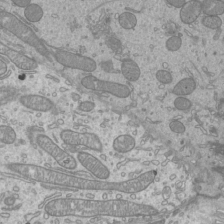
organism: Mouse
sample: Cilia; mouse epididymis